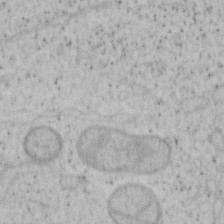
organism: Human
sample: HeLa cells